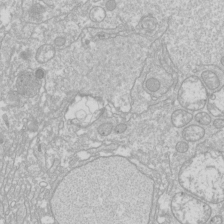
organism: Drosophila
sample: Cell division; meiosis; drosophila spermatocytes